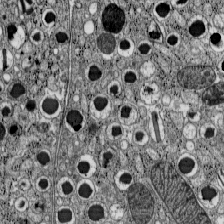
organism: C57BL Mouse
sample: Pancreatic islet